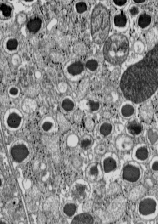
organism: C57BL Mouse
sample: Pancreatic islet